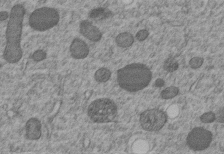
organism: C. elegans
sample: C. elegans embryo early stage